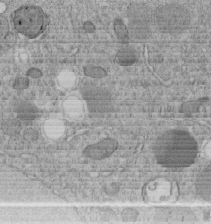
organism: C. elegans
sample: C. elegans embryo early stage